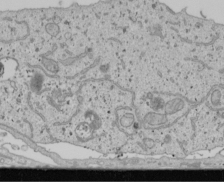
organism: Human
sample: Mitochondria in U2OS cells